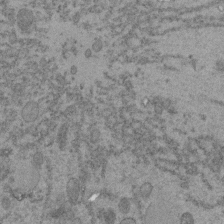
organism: C. elegans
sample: C. elegans embryo early stage